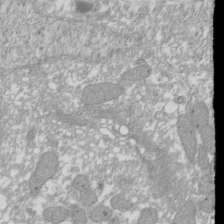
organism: Xenopus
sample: Cilia; centrioles in frog embryo cells